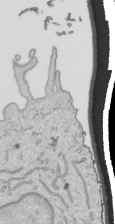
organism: Human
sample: Mitochondria in HCT116 cells